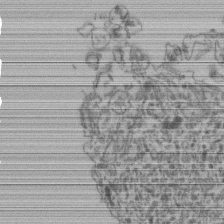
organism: Human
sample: Retinal organoid Rod and Cone cells